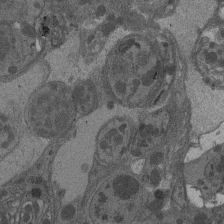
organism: Drosophila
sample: Antenna